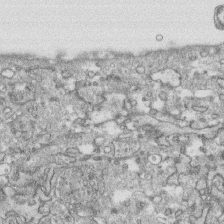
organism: Human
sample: CRL-1474